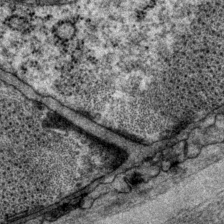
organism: P. pacificus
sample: Pharynx